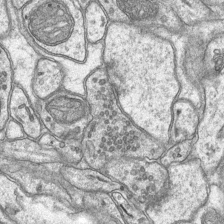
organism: Mouse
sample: CA1 Hippocampus